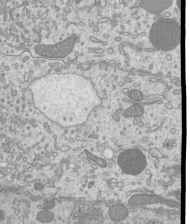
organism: Mouse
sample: Cilia; mouse epididymis